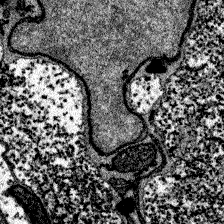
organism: Zebrafish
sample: Larval olfactory bulb